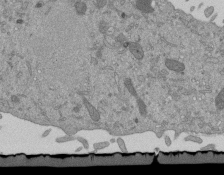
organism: Mouse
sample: ED-1 cell nuclei; centrioles